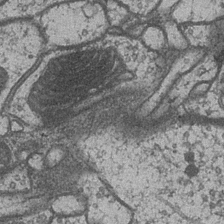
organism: Drosophila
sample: Optic medulla